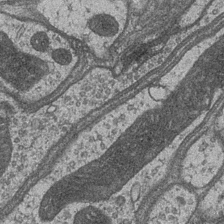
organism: Drosophila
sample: Optic medulla